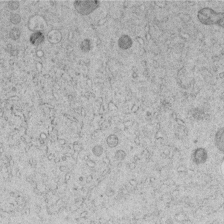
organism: C. elegans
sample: C. elegans embryo early stage